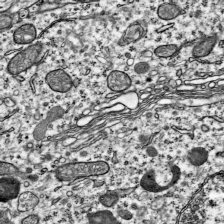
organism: Mouse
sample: Visual Cortex